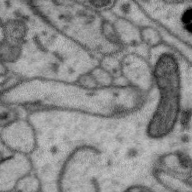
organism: Zebra finch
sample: Brain